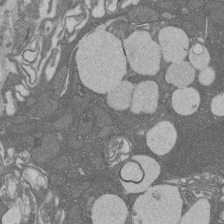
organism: Rat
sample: Salivary granule